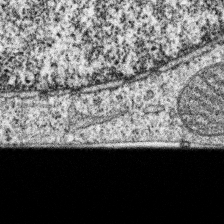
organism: Human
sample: HeLa cells